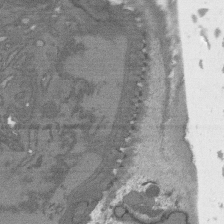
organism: C. elegans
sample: AFD neurons C. elegans